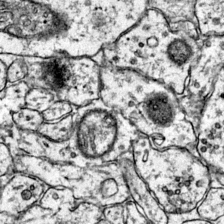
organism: Mouse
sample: Primary visual cortex